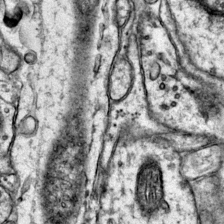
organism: Mouse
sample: Primary visual cortex